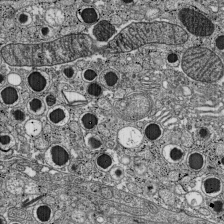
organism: C57BL Mouse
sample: Pancreatic islet